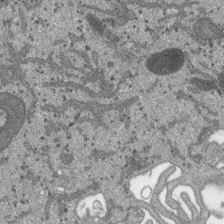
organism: Human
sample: Lung epithelial cells infected with SARS-CoV-2